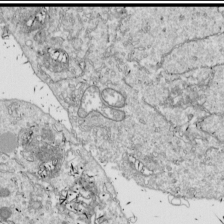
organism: Drosophila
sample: Cell division; meiosis; drosophila spermatocytes